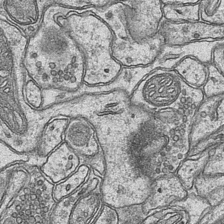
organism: Mouse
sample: CA1 Hippocampus